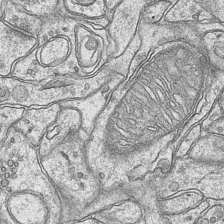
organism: Mouse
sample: CA1 Hippocampus